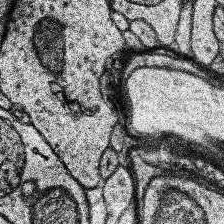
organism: Human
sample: Temporal Lobe